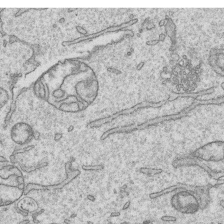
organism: Human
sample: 1205lu cells